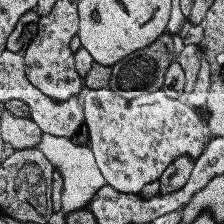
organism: Human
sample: Temporal Lobe